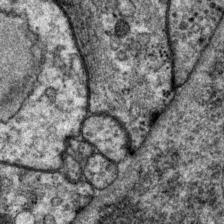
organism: P. pacificus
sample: Pharynx